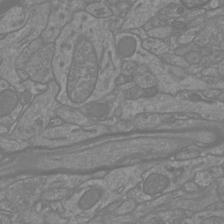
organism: Mouse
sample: Cortical neurons